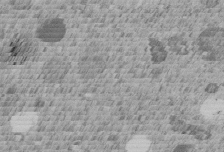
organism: C. elegans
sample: C. elegans embryo early stage